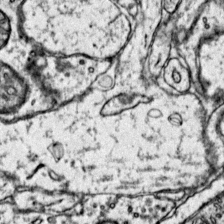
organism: Mouse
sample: Primary visual cortex